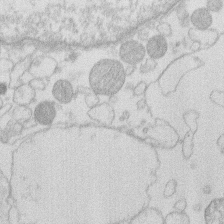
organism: Human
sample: Macrophage cells